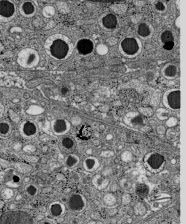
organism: C57BL Mouse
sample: Pancreatic islet